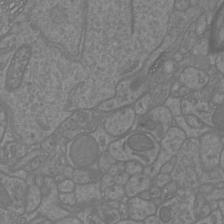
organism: Mouse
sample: Cortical neurons